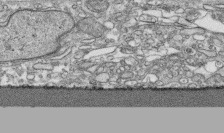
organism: Human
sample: CRL-1474